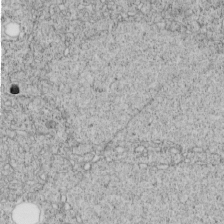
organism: C. elegans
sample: C. elegans embryo early stage